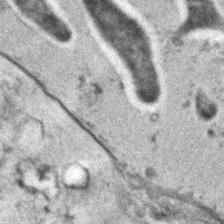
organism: C. elegans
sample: C. elegans embryo